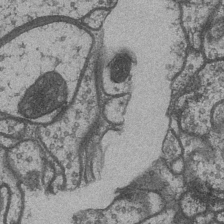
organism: Drosophila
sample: Optic medulla